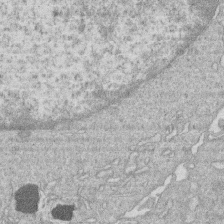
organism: Human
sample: Macrophage cells